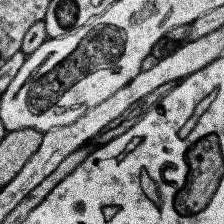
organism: Human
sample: Temporal Lobe